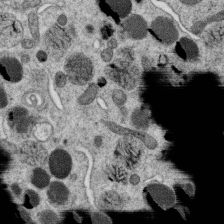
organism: C. elegans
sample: C. elegans oocyte; sperm cells